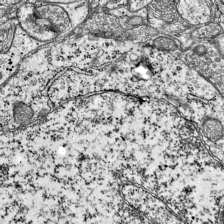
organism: Mouse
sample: Visual Cortex